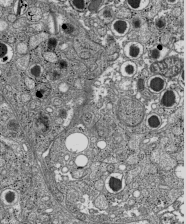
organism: C57BL Mouse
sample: Pancreatic islet